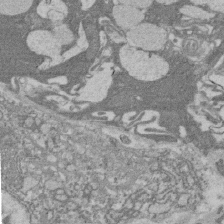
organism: Rat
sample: Salivary granule